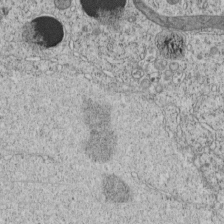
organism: C. elegans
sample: C. elegans embryo early stage